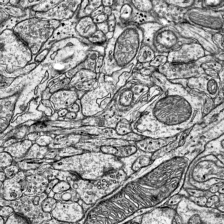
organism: Mouse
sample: Visual Cortex